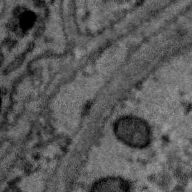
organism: Zebra finch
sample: Brain